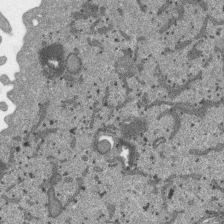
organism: Human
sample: Lung epithelial cells infected with SARS-CoV-2